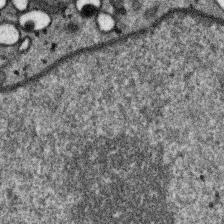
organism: Human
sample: Lung epithelial cells infected with SARS-CoV-2